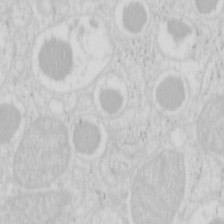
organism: Mouse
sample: Pancreas